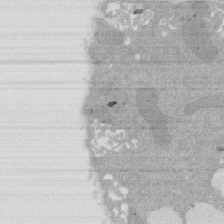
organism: Rat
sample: Salivary granule